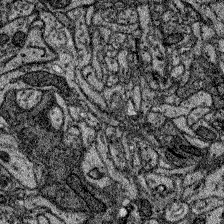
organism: Zebrafish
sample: Larval olfactory bulb